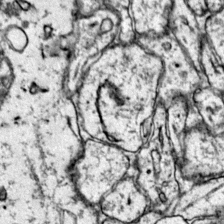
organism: Mouse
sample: Primary visual cortex